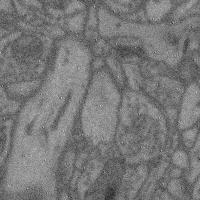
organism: Mouse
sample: Cerebral cortex